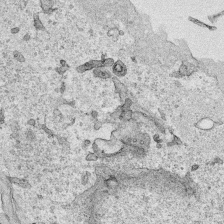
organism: Human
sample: Mitochondria in HCT116 cells